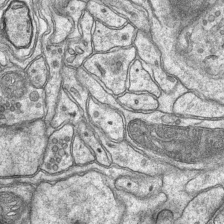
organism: Mouse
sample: CA1 Hippocampus